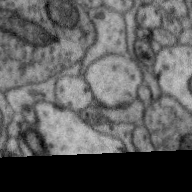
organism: Zebra finch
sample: Brain